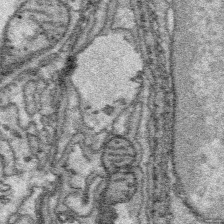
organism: Platynereis dumerilii